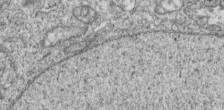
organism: Human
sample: HeLa cell HIV synapse